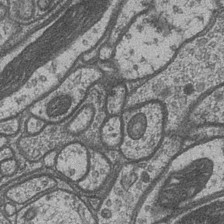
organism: Drosophila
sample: Optic medulla